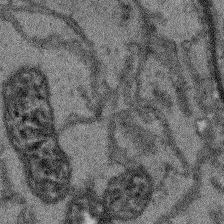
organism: Arabidopsis thaliana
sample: Root tip